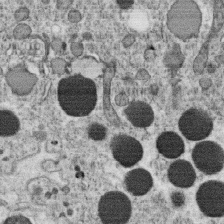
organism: C. elegans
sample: C. elegans oocyte; sperm cells